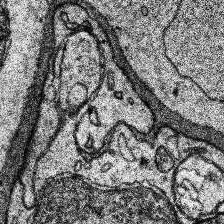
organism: Human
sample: Temporal Lobe